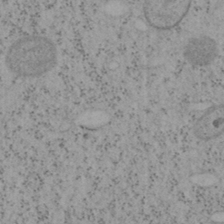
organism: Mouse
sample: OT-I killer T cells with ID8 ovarian cancer cells